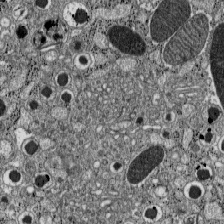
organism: C57BL Mouse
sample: Pancreatic islet